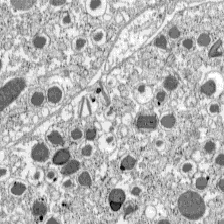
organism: C57BL Mouse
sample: Pancreatic islet